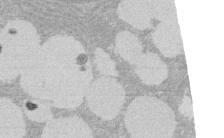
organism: Rat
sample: Salivary granule